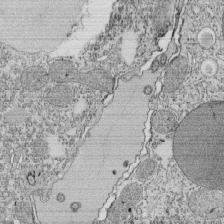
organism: Tetrahymena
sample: Cilia in tetrahymena